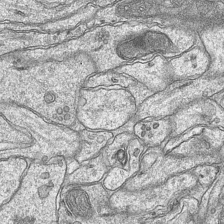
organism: Mouse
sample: CA1 Hippocampus